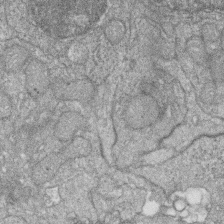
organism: Zebrafish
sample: Cilia; retinal pigment epithelium